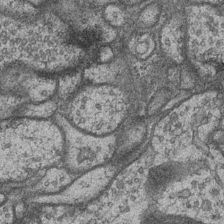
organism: Drosophila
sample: Optic medulla